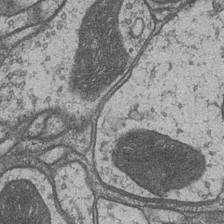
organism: Drosophila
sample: Optic medulla